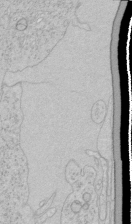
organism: Human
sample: Mitochondria in HCT116 cells